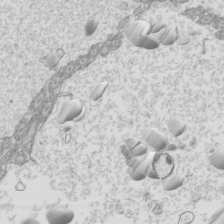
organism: Mouse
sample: Cilia; mouse epididymis